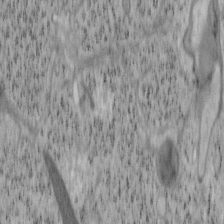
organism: Human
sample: HeLa cells